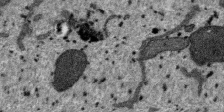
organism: Human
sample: Lung epithelial cells, uninfected (mock) control